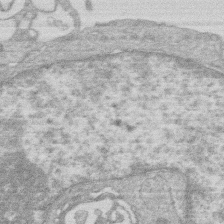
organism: Human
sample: Macrophage cells